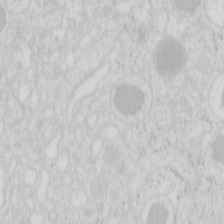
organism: Mouse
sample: Pancreas